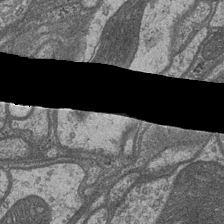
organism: Drosophila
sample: Optic medulla